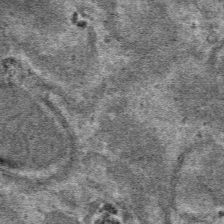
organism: Mouse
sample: Mouse hepatocytes